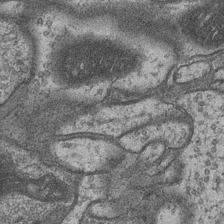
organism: Drosophila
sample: Optic medulla